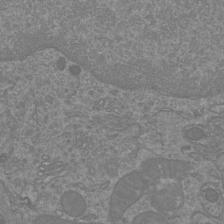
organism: Mouse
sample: Cortical neurons